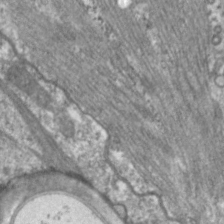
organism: C. elegans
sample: Pharynx